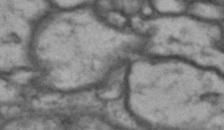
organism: Drosophila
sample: Brain